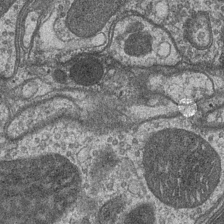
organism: Drosophila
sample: Optic medulla